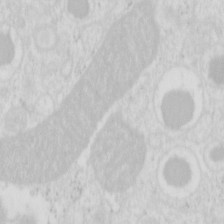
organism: Mouse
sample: Pancreas